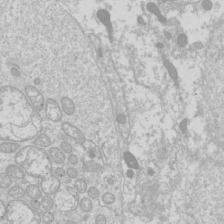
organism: Drosophila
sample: Cell division; meiosis; drosophila spermatocytes